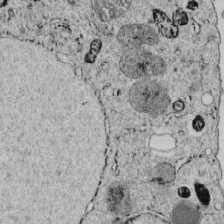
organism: C. elegans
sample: C. elegans embryo early stage